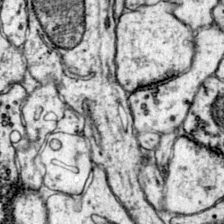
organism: Mouse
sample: Primary visual cortex